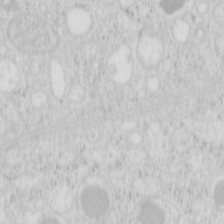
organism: Mouse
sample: Pancreas